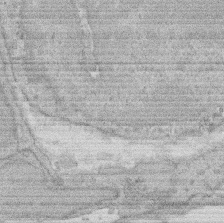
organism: Rat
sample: Salivary granule